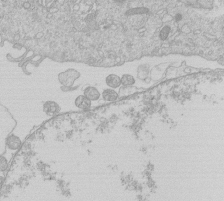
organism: Human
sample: Macrophage cells